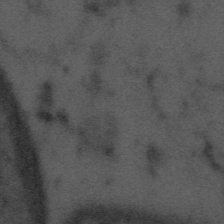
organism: Tuwongella immobilis